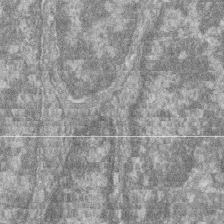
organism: Zebrafish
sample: Cilia; retinal pigment epithelium